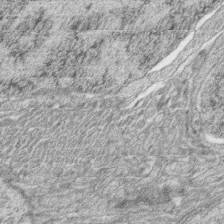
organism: Zebrafish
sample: synaptic ribbons in rod cells and cone cells